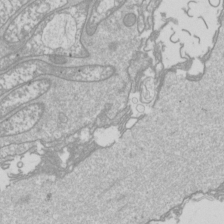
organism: Drosophila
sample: Cell division; meiosis; drosophila spermatocytes